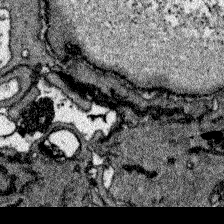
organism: Zebrafish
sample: Larval olfactory bulb